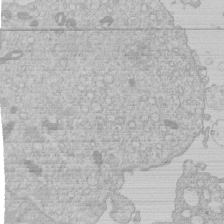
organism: Human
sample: Macrophage cells